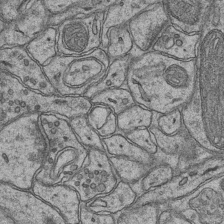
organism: Mouse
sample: CA1 Hippocampus